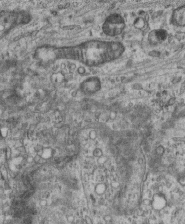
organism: Mouse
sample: Centriole in ependymal cells